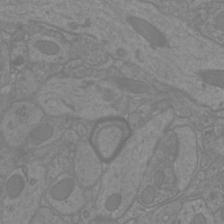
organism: Mouse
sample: Cortical neurons